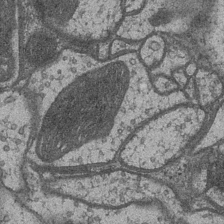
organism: Drosophila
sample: Optic medulla